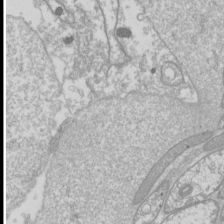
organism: Drosophila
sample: Cell division; meiosis; drosophila spermatocytes